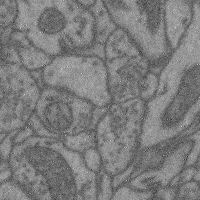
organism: Mouse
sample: Cerebral cortex